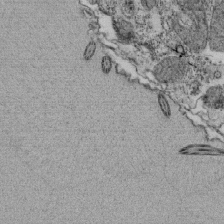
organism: Tetrahymena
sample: Cilia in tetrahymena